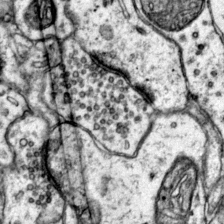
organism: Mouse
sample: Primary visual cortex